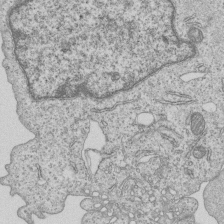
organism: Human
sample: MDA-MB-231 cells